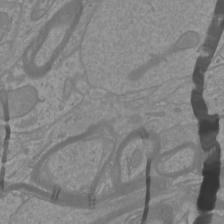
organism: Mouse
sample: Cortical neurons